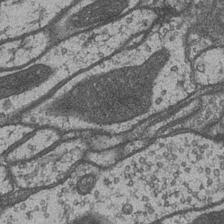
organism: Drosophila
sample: Optic medulla